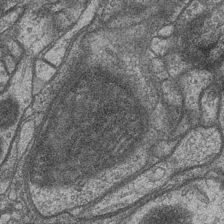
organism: Drosophila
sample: Optic medulla